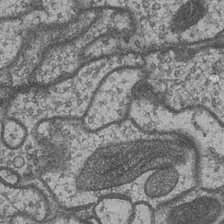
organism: Drosophila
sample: Optic medulla